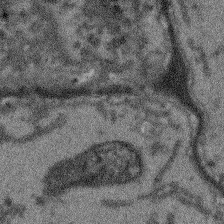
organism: Arabidopsis thaliana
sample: Root tip